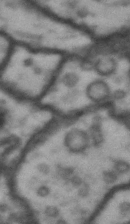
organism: Drosophila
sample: Brain